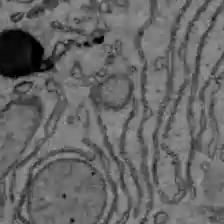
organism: C57BL Mouse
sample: Liver